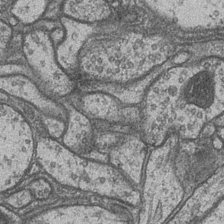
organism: Drosophila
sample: Optic medulla